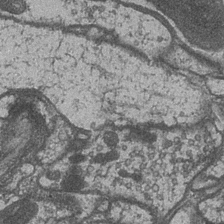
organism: Drosophila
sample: Optic medulla